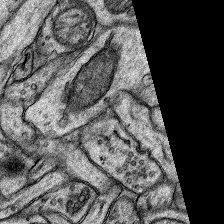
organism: Rat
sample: Hippocampus